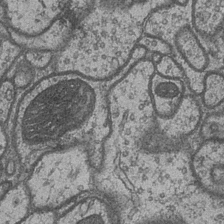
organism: Drosophila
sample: Optic medulla